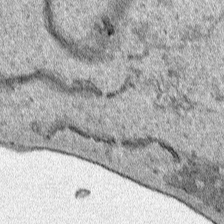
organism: Human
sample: Mitochondria in HCT116 cells